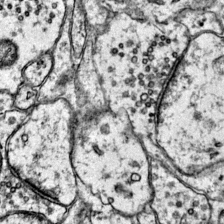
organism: Mouse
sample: Primary visual cortex